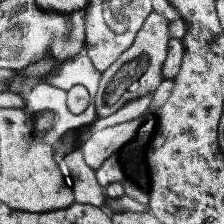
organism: Human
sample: Temporal Lobe